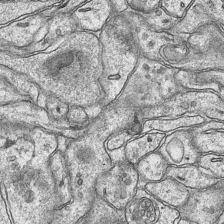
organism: Mouse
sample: CA1 Hippocampus